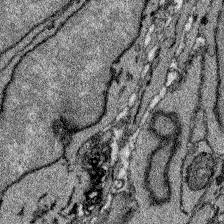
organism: Zebrafish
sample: Larval olfactory bulb